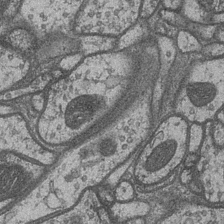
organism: Drosophila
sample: Optic medulla